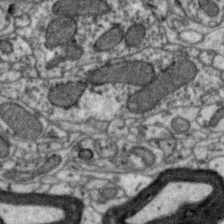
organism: Zebra finch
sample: Brain